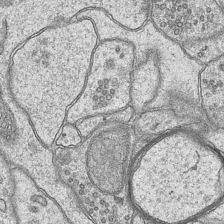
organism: Mouse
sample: CA1 Hippocampus